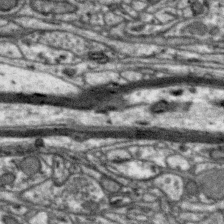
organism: Zebra finch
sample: Brain